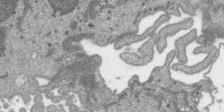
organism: Human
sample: Lung epithelial cells infected with SARS-CoV-2